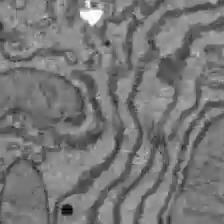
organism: C57BL Mouse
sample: Liver